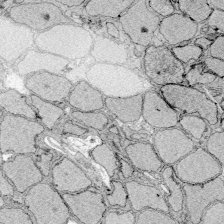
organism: Zebrafish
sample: Whole-Brain